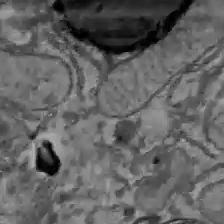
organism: C57BL Mouse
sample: Liver